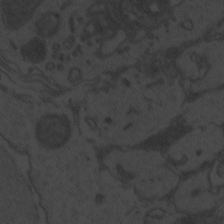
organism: Zebrafish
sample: Macrophage infected with Toxoplasma gondii